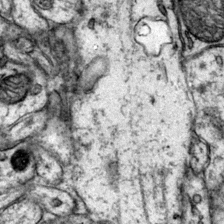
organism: Mouse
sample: Primary visual cortex